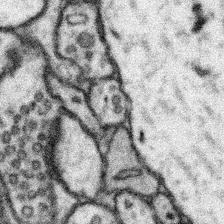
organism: Mouse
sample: Somatosensory cortex neuropil